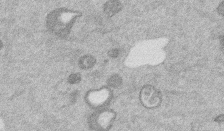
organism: Mouse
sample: Dividing mouse embryo 1 cell stage